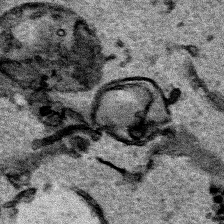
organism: Human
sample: Mitochondria in HCT116 cells